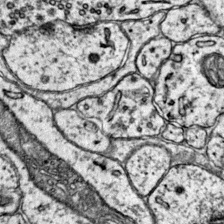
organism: Mouse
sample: Primary visual cortex